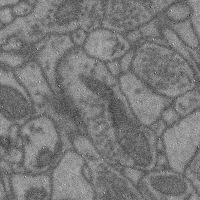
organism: Mouse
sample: Cerebral cortex